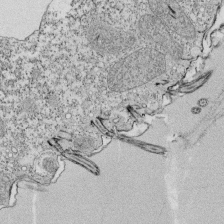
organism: Tetrahymena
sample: Cilia in tetrahymena